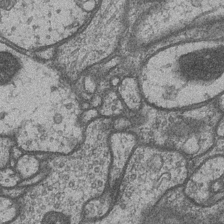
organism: Drosophila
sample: Optic medulla